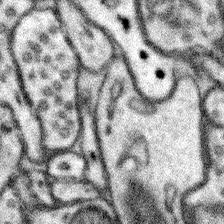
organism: Mouse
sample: Somatosensory cortex neuropil